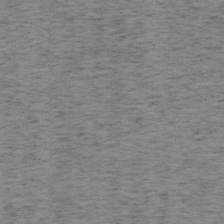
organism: Mouse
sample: OT-I killer T cells with ID8 ovarian cancer cells